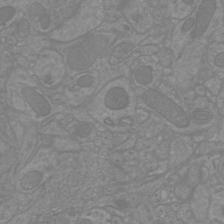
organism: Mouse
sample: Cortical neurons